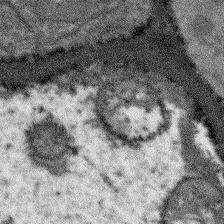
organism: Arabidopsis thaliana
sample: Root tip